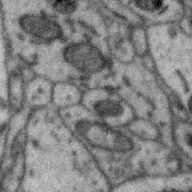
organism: Zebra finch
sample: Brain